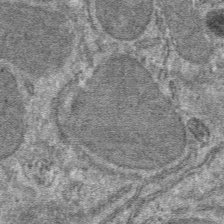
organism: Mouse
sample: Mouse hepatocytes